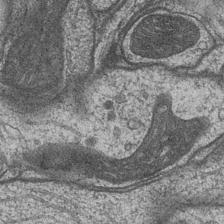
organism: Drosophila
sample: Optic medulla